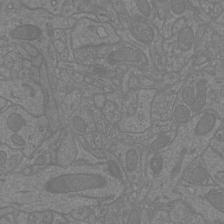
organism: Mouse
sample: Cortical neurons